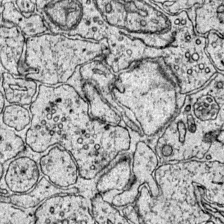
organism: Mouse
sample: Primary visual cortex